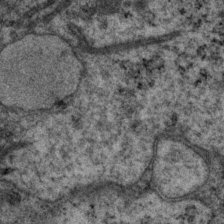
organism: P. pacificus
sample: Pharynx